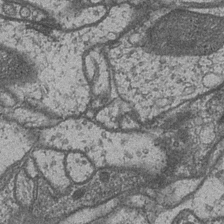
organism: Drosophila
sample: Optic medulla